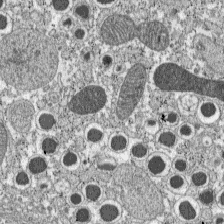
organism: C57BL Mouse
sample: Pancreatic islet